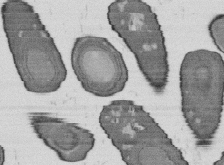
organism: B. subtilis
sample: Bacterial spore